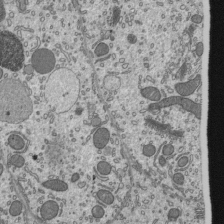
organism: Mouse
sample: Mouse epididymis efferent ductule cilia